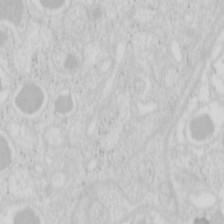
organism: Mouse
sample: Pancreas